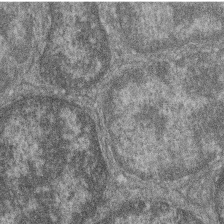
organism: Zebrafish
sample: Cilia; retinal pigment epithelium